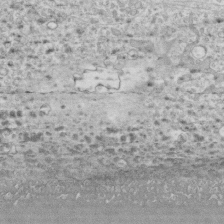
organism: Human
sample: CRL-1474